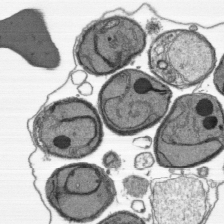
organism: Plasmodium falciparum